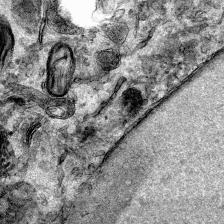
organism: Human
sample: Mitochondria in HCT116 cells